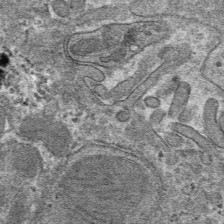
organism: Mouse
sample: Mouse hepatocytes